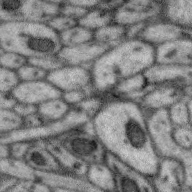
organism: Zebra finch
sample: Brain